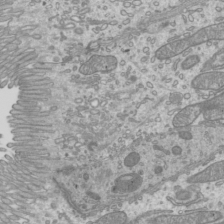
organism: Mouse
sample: Cilia; mouse epididymis